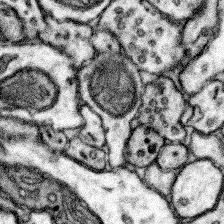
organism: Mouse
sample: Somatosensory cortex neuropil